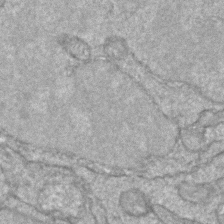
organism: Zebrafish